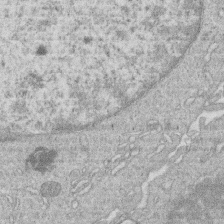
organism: Human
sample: Macrophage cells